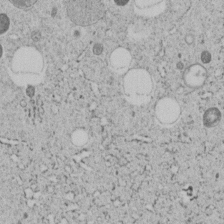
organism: C. elegans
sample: C. elegans embryo early stage